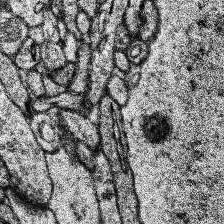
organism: Human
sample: Temporal Lobe